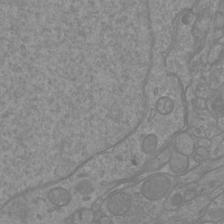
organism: Mouse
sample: Cortical neurons